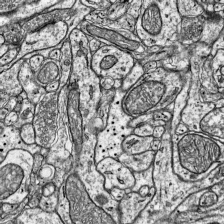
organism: Mouse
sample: Visual Cortex